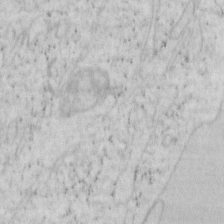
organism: Human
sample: HeLa cells